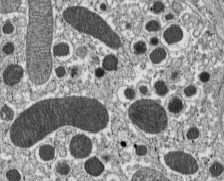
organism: C57BL Mouse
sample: Pancreatic islet